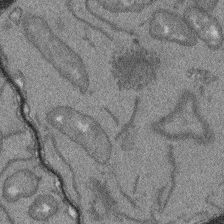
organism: Arabidopsis thaliana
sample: Root tip